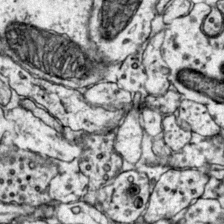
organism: Mouse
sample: Primary visual cortex